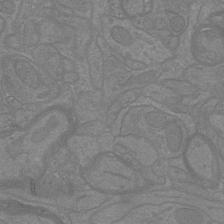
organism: Mouse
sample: Cortical neurons